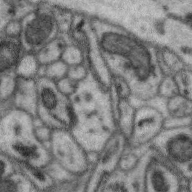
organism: Zebra finch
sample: Brain